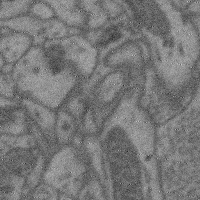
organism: Mouse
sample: Cerebral cortex